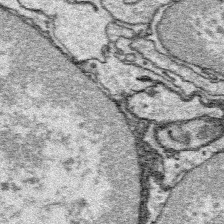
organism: Platynereis dumerilii